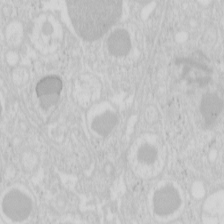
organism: Mouse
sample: Pancreas